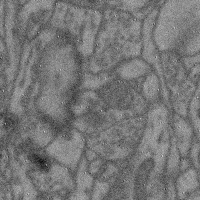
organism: Mouse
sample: Cerebral cortex